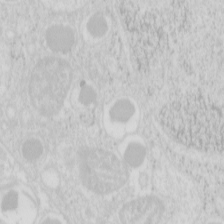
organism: Mouse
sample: Pancreas